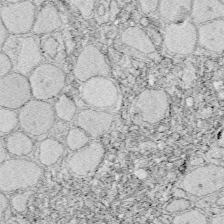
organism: Zebrafish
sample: Whole-Brain